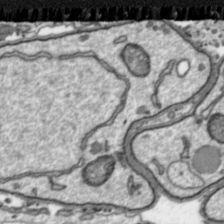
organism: Toxoplasma gondii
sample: Parasites in a vacuole inside a host cell